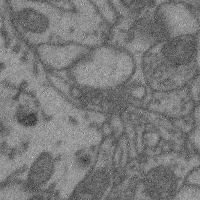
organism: Mouse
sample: Cerebral cortex